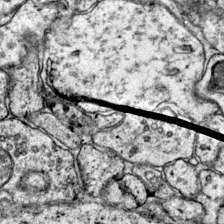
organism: Mouse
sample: Primary visual cortex